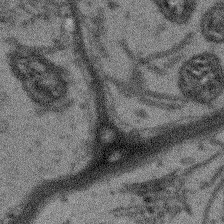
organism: Arabidopsis thaliana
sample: Root tip